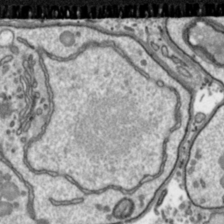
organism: Toxoplasma gondii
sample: Parasites in a vacuole inside a host cell